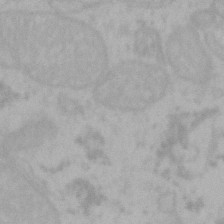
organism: Mouse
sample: Choroid plexus